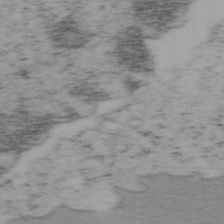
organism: Mouse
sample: OT-I killer T cells with ID8 ovarian cancer cells